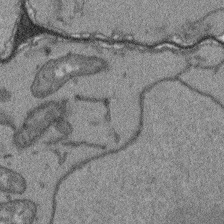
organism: Arabidopsis thaliana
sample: Root tip